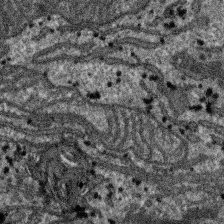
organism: Human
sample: Lung epithelial cells infected with SARS-CoV-2